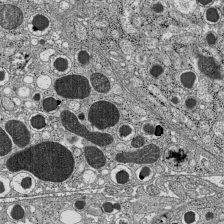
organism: C57BL Mouse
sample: Pancreatic islet